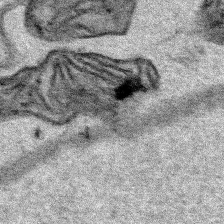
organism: Human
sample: Mitochondria in HCT116 cells